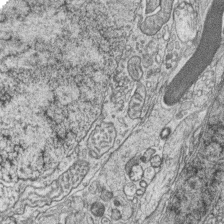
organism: Zebrafish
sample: synaptic ribbons in rod cells and cone cells